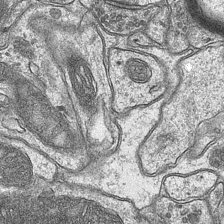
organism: Mouse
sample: CA1 Hippocampus